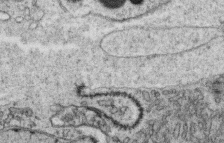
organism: C. elegans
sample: C. elegans oocyte; sperm cells